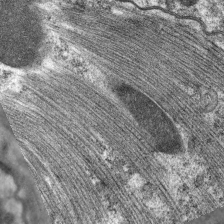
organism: C. elegans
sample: Pharynx